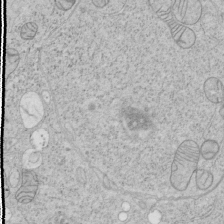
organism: Human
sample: Mitochondria in HCT116 cells